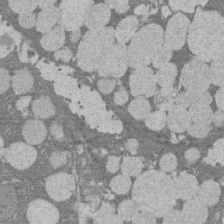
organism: Rat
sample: Salivary granule